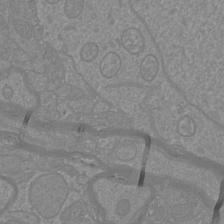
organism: Mouse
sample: Cortical neurons